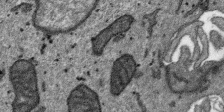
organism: Human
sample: Lung epithelial cells, uninfected (mock) control